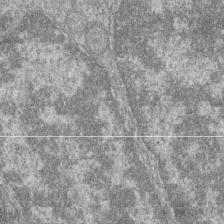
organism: Zebrafish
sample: Cilia; retinal pigment epithelium